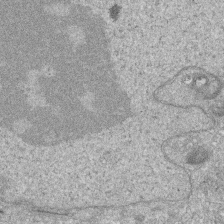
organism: Human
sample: HeLa cell HIV synapse